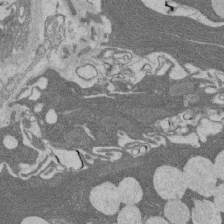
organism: Rat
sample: Salivary granule